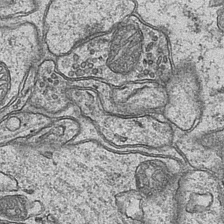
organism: Mouse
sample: CA1 Hippocampus